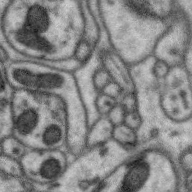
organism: Zebra finch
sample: Brain